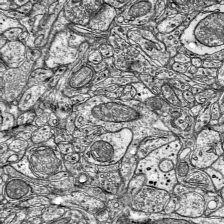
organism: Mouse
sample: Visual Cortex